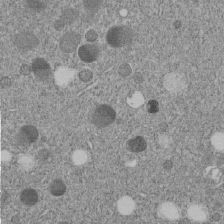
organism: C. elegans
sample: C. elegans embryo early stage